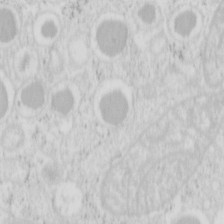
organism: Mouse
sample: Pancreas